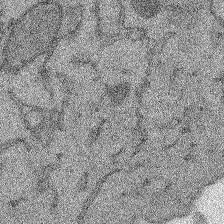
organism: Human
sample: HeLa cells